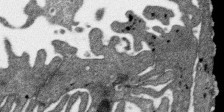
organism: Human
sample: Lung epithelial cells, uninfected (mock) control